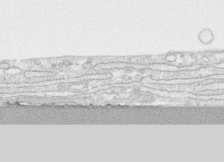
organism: Human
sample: CRL-1474